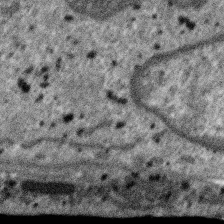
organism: Human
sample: Lung epithelial cells infected with SARS-CoV-2